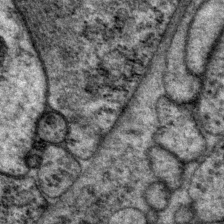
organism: P. pacificus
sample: Pharynx